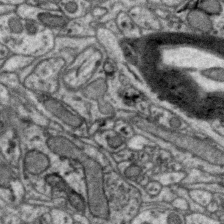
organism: Zebra finch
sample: Brain